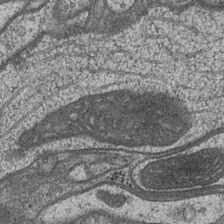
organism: Drosophila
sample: Optic medulla